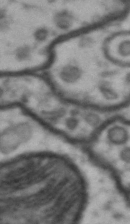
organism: Drosophila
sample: Brain